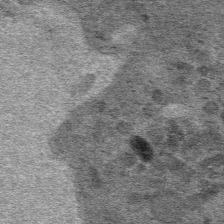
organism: Mouse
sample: Mouse hepatocytes